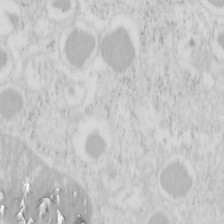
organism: Mouse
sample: Pancreas